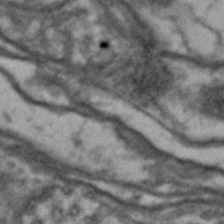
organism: Drosophila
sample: Brain